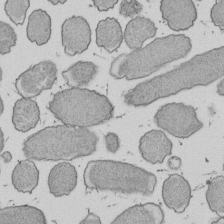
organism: E. coli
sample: Bacterial nucleoid